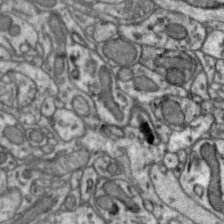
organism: Zebra finch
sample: Brain